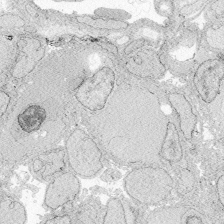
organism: Zebrafish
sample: Whole-Brain